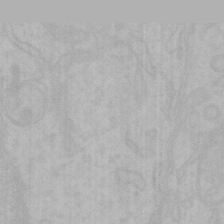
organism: Mouse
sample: Choroid plexus